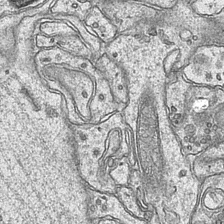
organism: Mouse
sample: CA1 Hippocampus